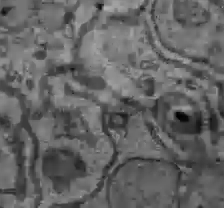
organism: C57BL Mouse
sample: Liver